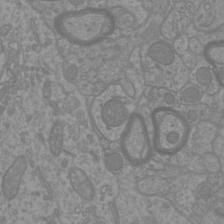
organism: Mouse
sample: Cortical neurons